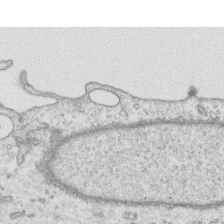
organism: Human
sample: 1205lu cells